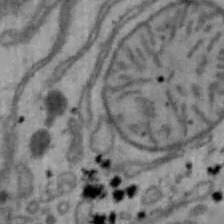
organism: Mouse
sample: Liver